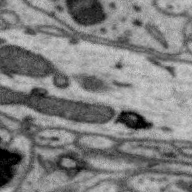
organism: Zebra finch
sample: Brain